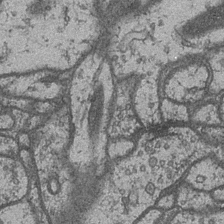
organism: Drosophila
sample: Optic medulla